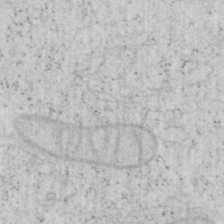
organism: Human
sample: HeLa cells